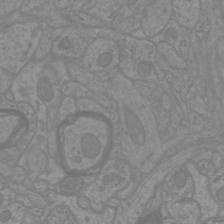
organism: Mouse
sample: Cortical neurons